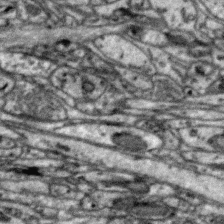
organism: Zebra finch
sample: Brain